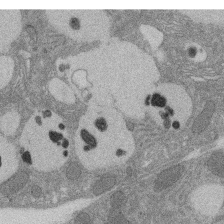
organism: Rat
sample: Salivary granule